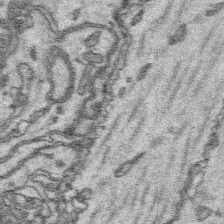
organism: Platynereis dumerilii